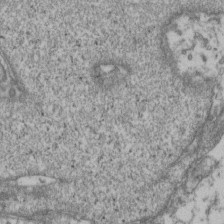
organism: Human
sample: Activated Jurkat CD4+ T cells